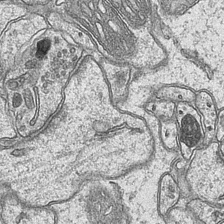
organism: Mouse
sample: CA1 Hippocampus